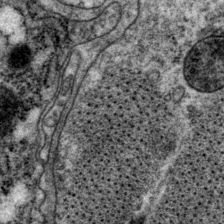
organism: P. pacificus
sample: Pharynx